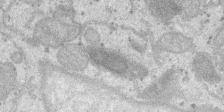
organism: Human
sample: Lung epithelial cells infected with SARS-CoV-2